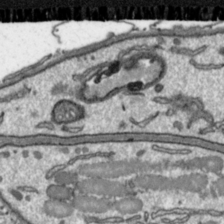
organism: Toxoplasma gondii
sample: Parasites in a vacuole inside a host cell